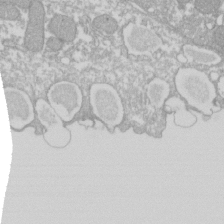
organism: Xenopus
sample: Cilia; centrioles in frog embryo cells